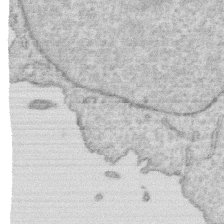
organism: Human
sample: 1205lu cells